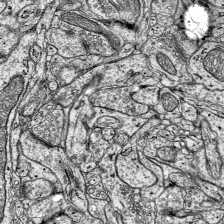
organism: Mouse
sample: Visual Cortex